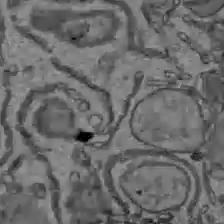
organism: C57BL Mouse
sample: Liver